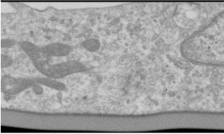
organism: Human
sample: Cilia; basal body in RPE cells